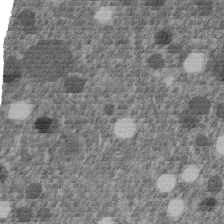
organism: C. elegans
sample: C. elegans embryo early stage